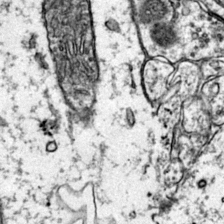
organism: Mouse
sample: Primary visual cortex